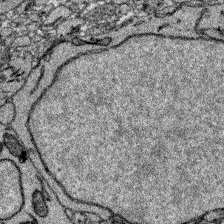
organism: Zebrafish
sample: Larval olfactory bulb